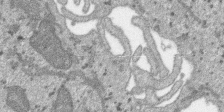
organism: Human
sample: Lung epithelial cells infected with SARS-CoV-2